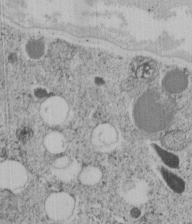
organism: C. elegans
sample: C. elegans embryo early stage